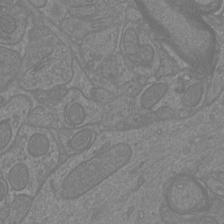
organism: Mouse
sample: Cortical neurons